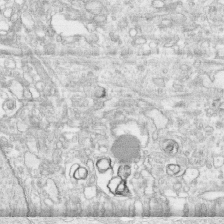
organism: Human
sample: CRL-1474